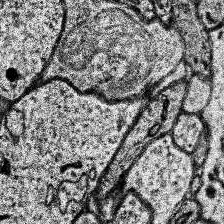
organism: Human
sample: Temporal Lobe